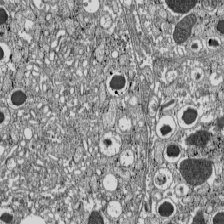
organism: C57BL Mouse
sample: Pancreatic islet